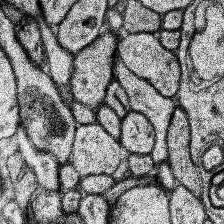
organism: Human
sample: Temporal Lobe